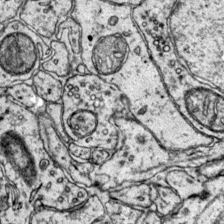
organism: Mouse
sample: Primary visual cortex